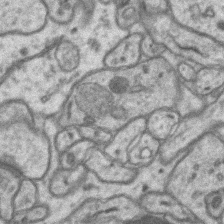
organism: Mouse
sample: CA1 Hippocampus